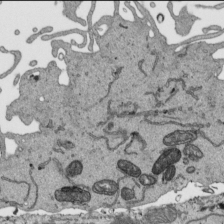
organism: Human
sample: Mitochondria in HCT116 cells